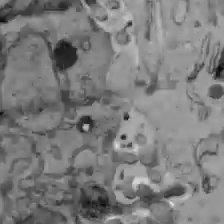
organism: C57BL Mouse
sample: Liver